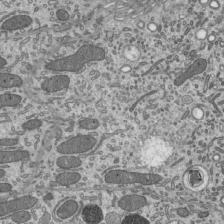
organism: Mouse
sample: Mouse epididymis efferent ductule cilia